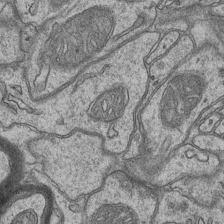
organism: Mouse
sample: CA1 Hippocampus